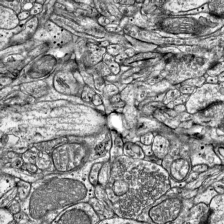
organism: Mouse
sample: Visual Cortex